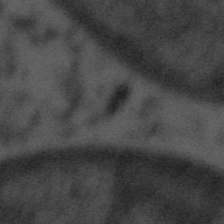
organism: Tuwongella immobilis